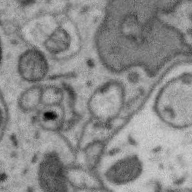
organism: Zebra finch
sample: Brain